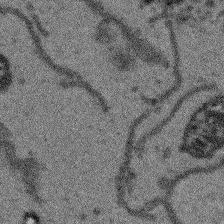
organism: Arabidopsis thaliana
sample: Root tip